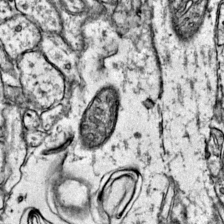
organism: Mouse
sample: Primary visual cortex